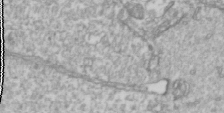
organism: Drosophila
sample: Cell division; meiosis; drosophila spermatocytes